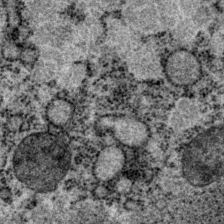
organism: P. pacificus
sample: Pharynx